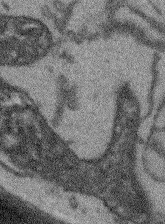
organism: Arabidopsis thaliana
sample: Root tip